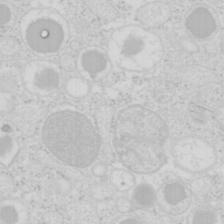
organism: Mouse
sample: Pancreas